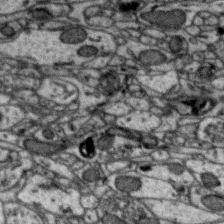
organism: Zebra finch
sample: Brain